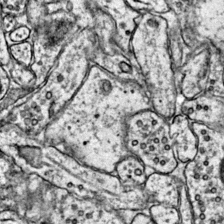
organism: Mouse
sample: Primary visual cortex